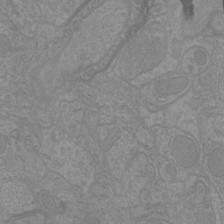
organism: Mouse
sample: Cortical neurons